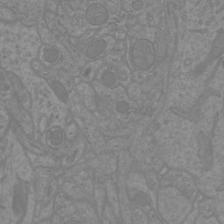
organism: Mouse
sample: Cortical neurons